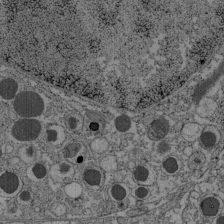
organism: C57BL Mouse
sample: Pancreatic islet